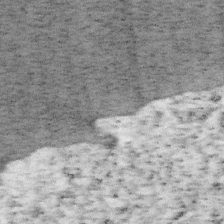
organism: Mouse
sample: OT-I killer T cells with ID8 ovarian cancer cells